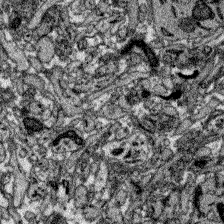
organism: Zebrafish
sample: Larval olfactory bulb